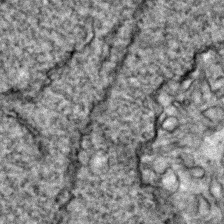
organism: Zebrafish